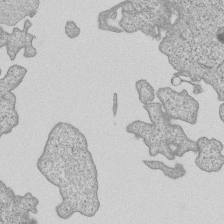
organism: Human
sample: MDA-MB-231 cells